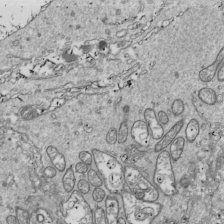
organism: Drosophila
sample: Cell division; meiosis; drosophila spermatocytes